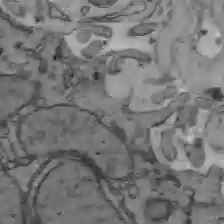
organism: C57BL Mouse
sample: Liver